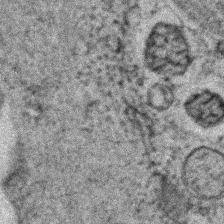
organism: Zebrafish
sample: Zebrafish embryo